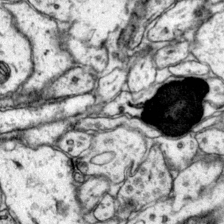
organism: Mouse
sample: Primary visual cortex